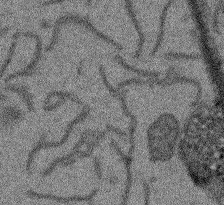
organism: Arabidopsis thaliana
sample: Root tip